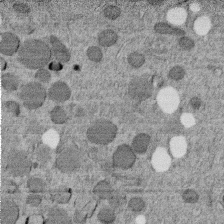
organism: C. elegans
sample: C. elegans embryo early stage